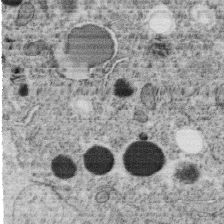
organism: C. elegans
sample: C. elegans oocyte; sperm cells